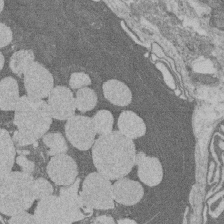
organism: Rat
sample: Salivary granule